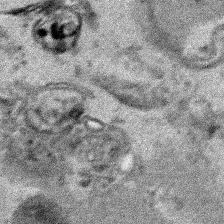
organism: Human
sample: Mitochondria in HCT116 cells